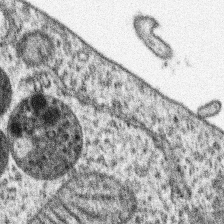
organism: Human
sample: HeLa cells